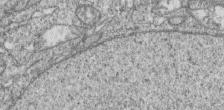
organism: Human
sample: HeLa cell HIV synapse